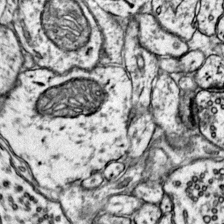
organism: Mouse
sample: Primary visual cortex